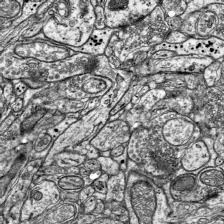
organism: Mouse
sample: Visual Cortex